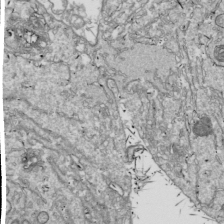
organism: Drosophila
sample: Cell division; meiosis; drosophila spermatocytes